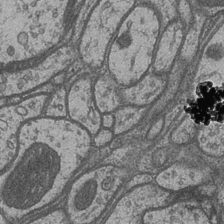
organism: Drosophila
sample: Optic medulla